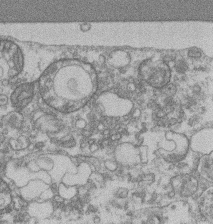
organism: Mouse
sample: T cell stromal cell synapse